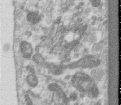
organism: Human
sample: Centriole in RPE cells